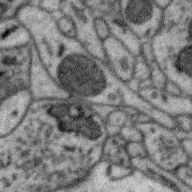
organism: Zebra finch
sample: Brain